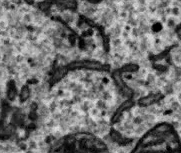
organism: Human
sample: HeLa cells